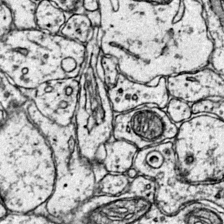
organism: Mouse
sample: Primary visual cortex